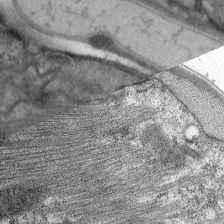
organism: C. elegans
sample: Pharynx